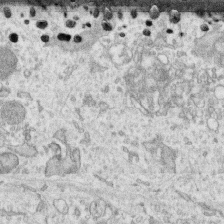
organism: Human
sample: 1205lu cells